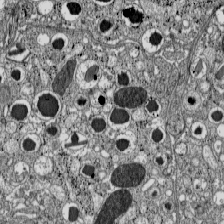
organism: C57BL Mouse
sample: Pancreatic islet